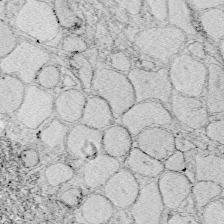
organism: Zebrafish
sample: Whole-Brain